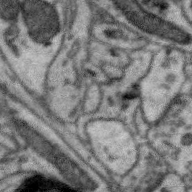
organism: Zebra finch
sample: Brain